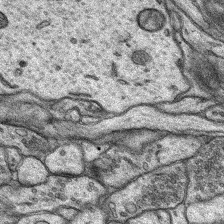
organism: Rat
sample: Hippocampus